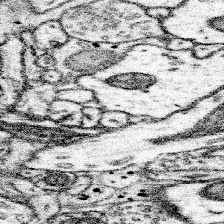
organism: Mouse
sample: Somatosensory cortex neuropil